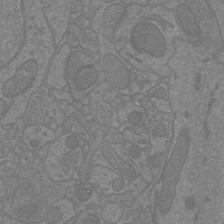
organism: Mouse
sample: Cortical neurons